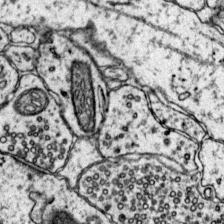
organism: Mouse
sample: Primary visual cortex